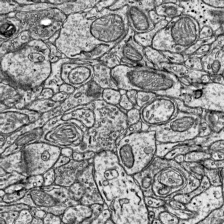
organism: Mouse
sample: Visual Cortex